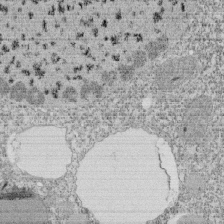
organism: Tetrahymena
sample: Cilia in tetrahymena